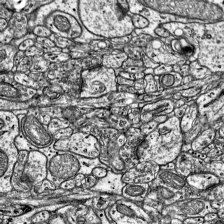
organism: Mouse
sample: Visual Cortex